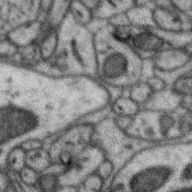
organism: Zebra finch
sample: Brain